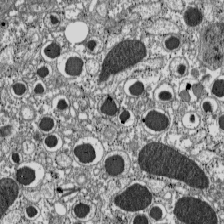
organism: C57BL Mouse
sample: Pancreatic islet